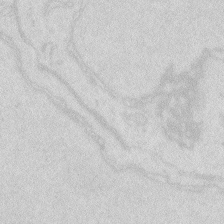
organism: Zebrafish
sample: Macrophage